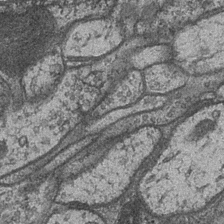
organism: Drosophila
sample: Optic medulla